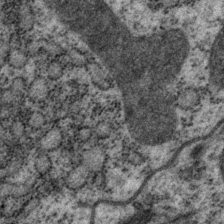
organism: P. pacificus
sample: Pharynx